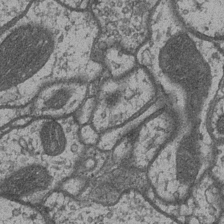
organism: Drosophila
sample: Optic medulla